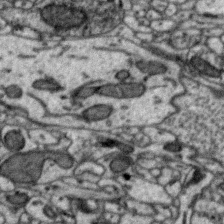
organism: Zebra finch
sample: Brain